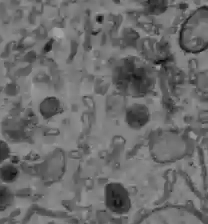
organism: C57BL Mouse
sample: Liver